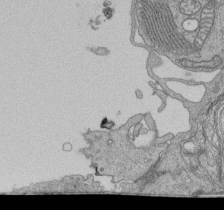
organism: Human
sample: Retinal organoid Rod and Cone cells